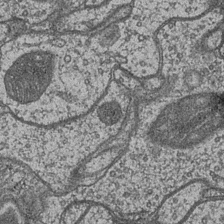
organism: Drosophila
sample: Optic medulla